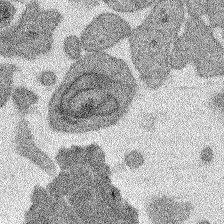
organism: Human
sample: HeLa cells